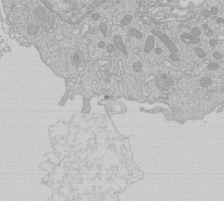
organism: Human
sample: Macrophage cells